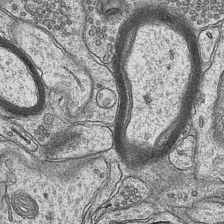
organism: Mouse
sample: CA1 Hippocampus